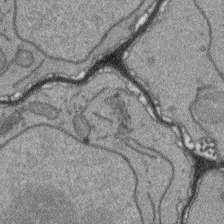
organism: Arabidopsis thaliana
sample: Root tip